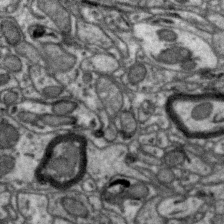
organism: Zebra finch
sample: Brain